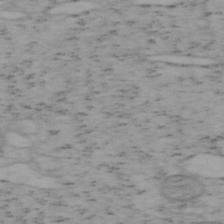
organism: Mouse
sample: OT-I killer T cells with ID8 ovarian cancer cells